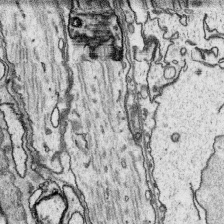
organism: Platynereis dumerilii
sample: Parapodia